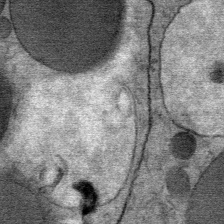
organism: Mouse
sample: Mouse Salivary gland